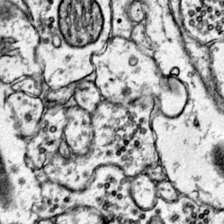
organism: Mouse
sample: Primary visual cortex